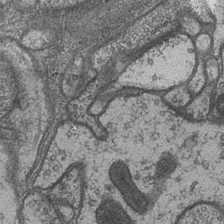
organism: Drosophila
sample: Optic medulla